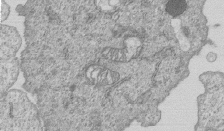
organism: Human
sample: MDA-MB-231 cells